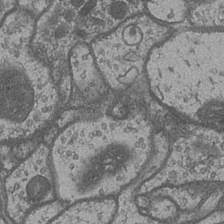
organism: Drosophila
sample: Optic medulla